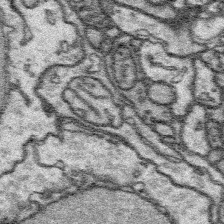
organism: Platynereis dumerilii